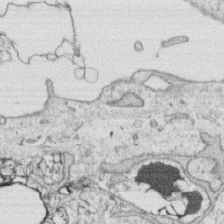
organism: Human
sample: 1205lu cells